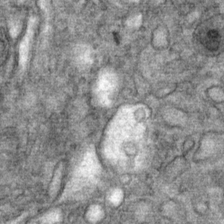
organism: Mouse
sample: Mouse Salivary gland